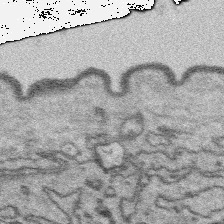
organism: Platynereis dumerilii